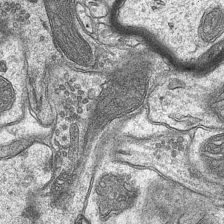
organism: Mouse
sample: CA1 Hippocampus